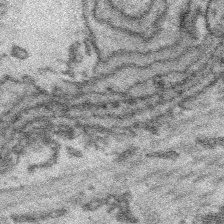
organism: Platynereis dumerilii